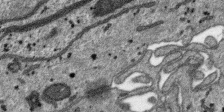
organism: Human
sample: Lung epithelial cells, uninfected (mock) control